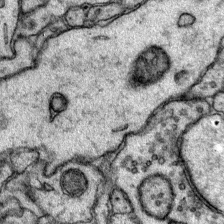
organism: Mouse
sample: Primary visual cortex